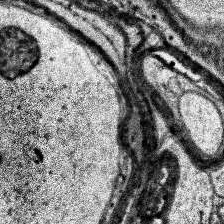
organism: Human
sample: Temporal Lobe